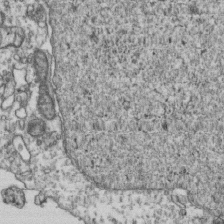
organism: Human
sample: Activated Jurkat CD4+ T cells